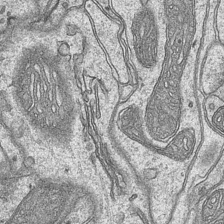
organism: Mouse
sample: CA1 Hippocampus